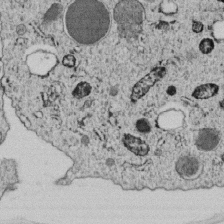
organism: C. elegans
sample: C. elegans embryo early stage